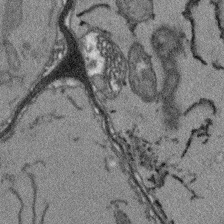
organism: Arabidopsis thaliana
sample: Root tip